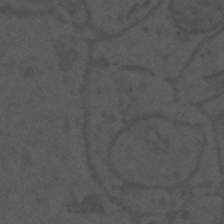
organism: Mouse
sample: Suprachiasmatic nucleus